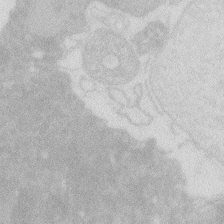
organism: Zebrafish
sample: Macrophage